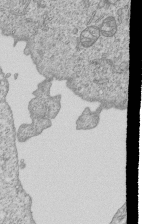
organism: Human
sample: MDA-MB-231 cells